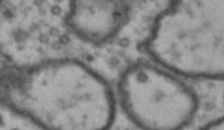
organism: Drosophila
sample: Brain